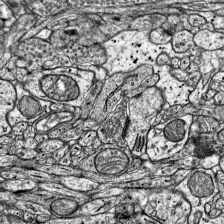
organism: Mouse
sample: Visual Cortex